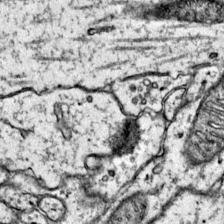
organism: Mouse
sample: Primary visual cortex